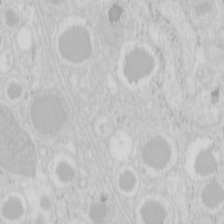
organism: Mouse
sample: Pancreas